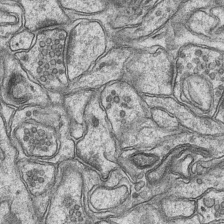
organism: Mouse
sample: CA1 Hippocampus